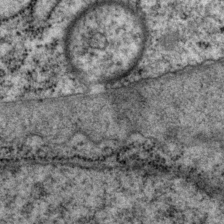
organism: P. pacificus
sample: Pharynx